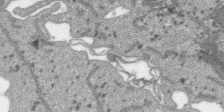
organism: Human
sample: Lung epithelial cells infected with SARS-CoV-2